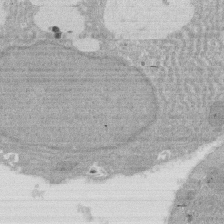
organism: Rat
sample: Salivary granule